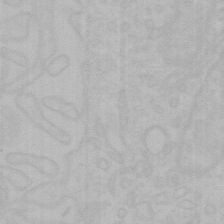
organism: Mouse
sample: Choroid plexus